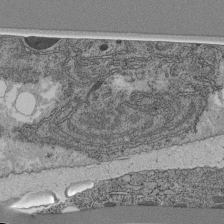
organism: C. elegans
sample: C. elegans pharynx